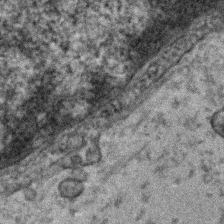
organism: Human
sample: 1205lu cells